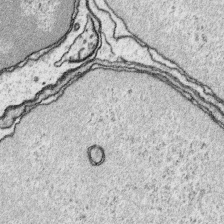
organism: Platynereis dumerilii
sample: Parapodia